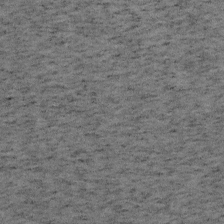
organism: Mouse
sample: OT-I killer T cells with ID8 ovarian cancer cells